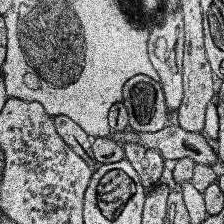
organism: Human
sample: Temporal Lobe